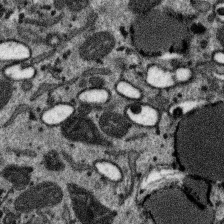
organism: Human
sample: Lung epithelial cells infected with SARS-CoV-2